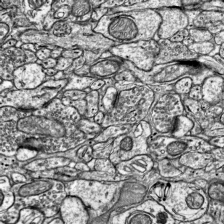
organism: Mouse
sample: Visual Cortex